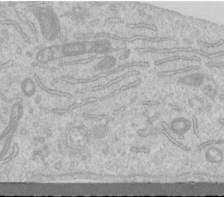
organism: Human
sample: Centriole in RPE cells